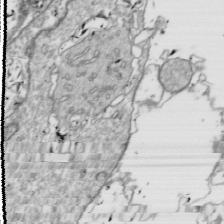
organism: Drosophila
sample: Cell division; meiosis; drosophila spermatocytes